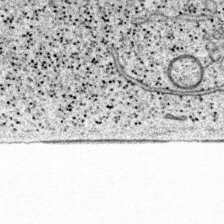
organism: Human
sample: HeLa cells